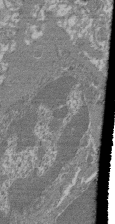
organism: Mouse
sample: Glomerulus